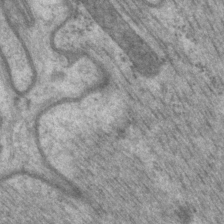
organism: P. pacificus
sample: Pharynx